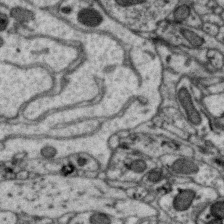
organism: Zebra finch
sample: Brain